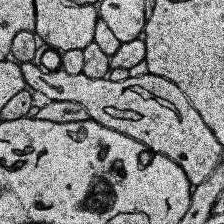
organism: Human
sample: Temporal Lobe